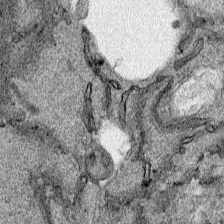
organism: Human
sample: Mitochondria in HCT116 cells